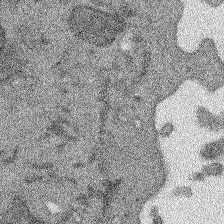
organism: Human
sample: HeLa cells